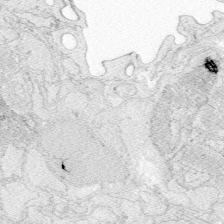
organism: Zebrafish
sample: Whole-Brain